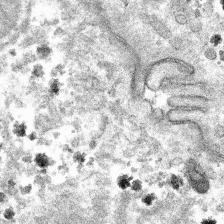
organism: Mouse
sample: Mouse hepatocytes